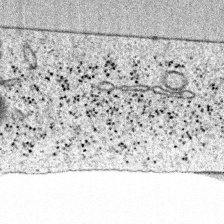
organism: Human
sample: HeLa cells